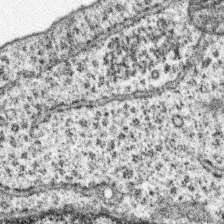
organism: Human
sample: HeLa cells